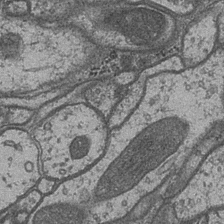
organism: Drosophila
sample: Optic medulla